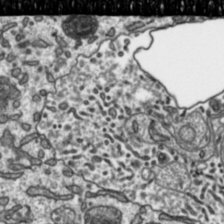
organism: Toxoplasma gondii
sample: Parasites in a vacuole inside a host cell